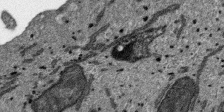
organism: Human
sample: Lung epithelial cells, uninfected (mock) control